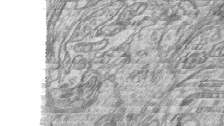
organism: Zebrafish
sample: synaptic ribbons in rod cells and cone cells